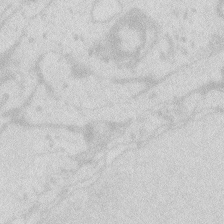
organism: Zebrafish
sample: Macrophage